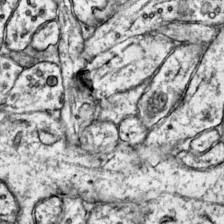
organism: Mouse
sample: Primary visual cortex